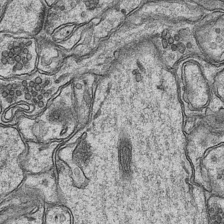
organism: Mouse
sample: CA1 Hippocampus